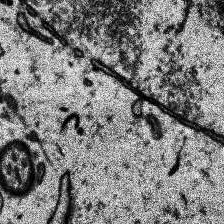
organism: Human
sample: Temporal Lobe